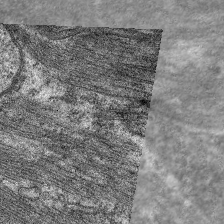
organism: C. elegans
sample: Pharynx